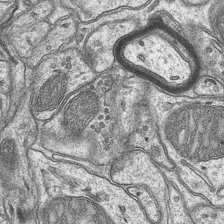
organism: Mouse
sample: CA1 Hippocampus